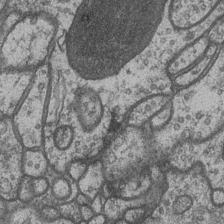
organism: Drosophila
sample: Optic medulla